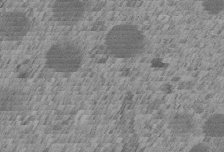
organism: C. elegans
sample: C. elegans embryo early stage